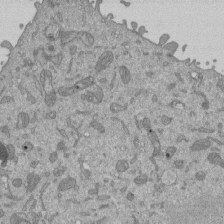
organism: Mouse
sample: ED-1 cell nuclei; centrioles